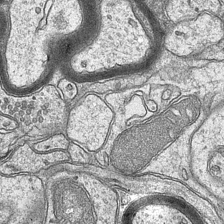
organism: Mouse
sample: CA1 Hippocampus